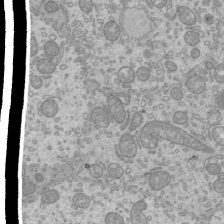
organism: Mouse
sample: Cilia; mouse epididymis